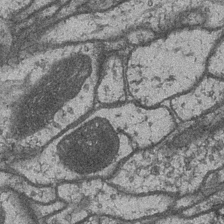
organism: Drosophila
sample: Optic medulla